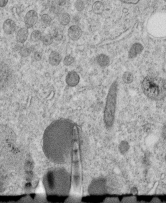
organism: C. elegans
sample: C. elegans embryo early stage